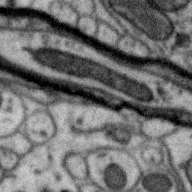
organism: Zebra finch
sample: Brain